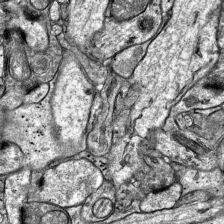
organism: Mouse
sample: Visual Cortex